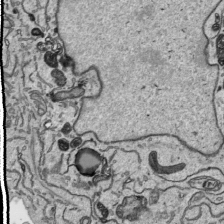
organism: Human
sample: Mitochondria in HCT116 cells